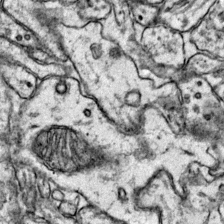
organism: Mouse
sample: Primary visual cortex